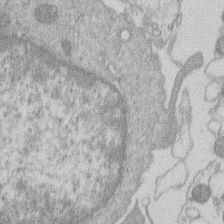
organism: Human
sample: Macrophage cells